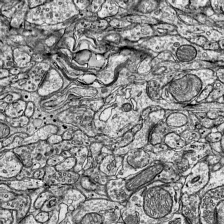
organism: Mouse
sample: Visual Cortex